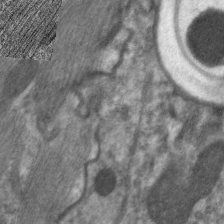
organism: C. elegans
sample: Pharynx